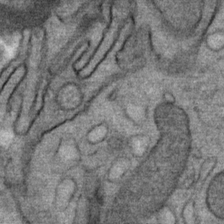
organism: Mouse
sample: Mouse Salivary gland